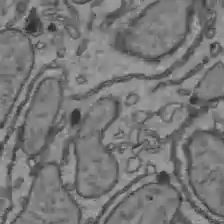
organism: C57BL Mouse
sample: Liver